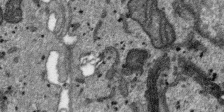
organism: Human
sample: Lung epithelial cells, uninfected (mock) control